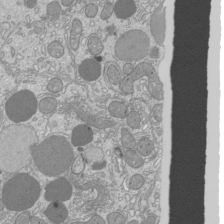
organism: Mouse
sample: Cilia; mouse epididymis